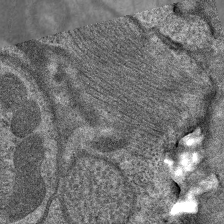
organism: C. elegans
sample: Pharynx